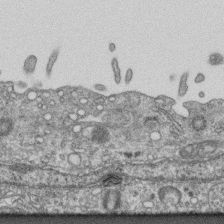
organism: Mouse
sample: Centriole in ependymal cells